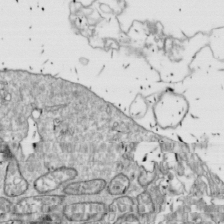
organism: Drosophila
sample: Cell division; meiosis; drosophila spermatocytes